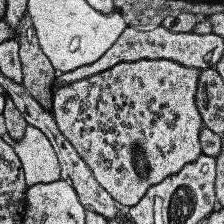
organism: Human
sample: Temporal Lobe